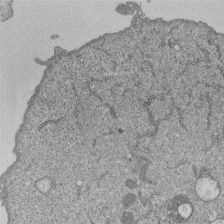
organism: Human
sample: MDA-MB-231 cells